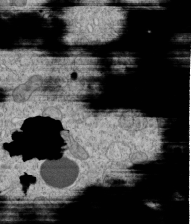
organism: C. elegans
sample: C. elegans embryo early stage